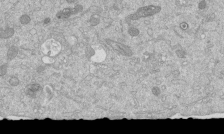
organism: Mouse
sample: ED-1 cell nuclei; centrioles